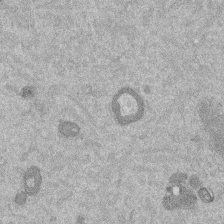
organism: Mouse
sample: Dividing mouse embryo 1 cell stage